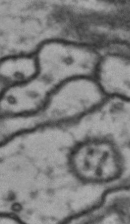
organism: Drosophila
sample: Brain